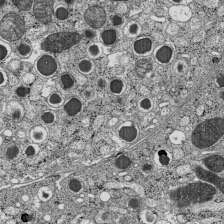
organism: C57BL Mouse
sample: Pancreatic islet